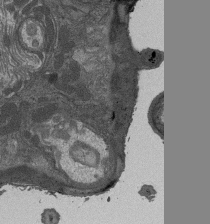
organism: Drosophila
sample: Antenna